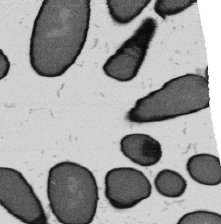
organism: B. subtilis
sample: Bacterial spore